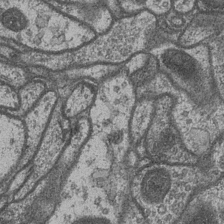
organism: Drosophila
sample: Optic medulla